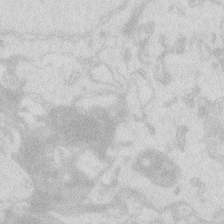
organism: Zebrafish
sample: Macrophage